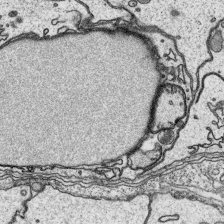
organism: Platynereis dumerilii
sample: Parapodia